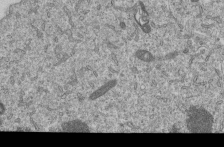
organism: Human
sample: MDA-MB-231 cells